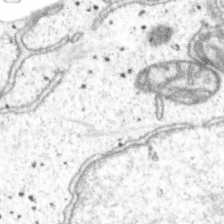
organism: Human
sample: HeLa cells